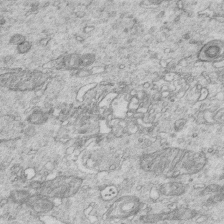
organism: Mouse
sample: Multiciliated cells